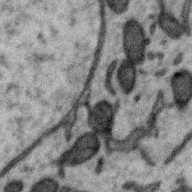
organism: Zebra finch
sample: Brain